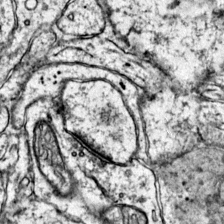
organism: Mouse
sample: Primary visual cortex